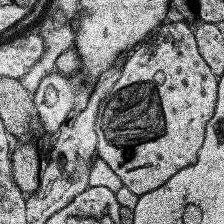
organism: Human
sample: Temporal Lobe